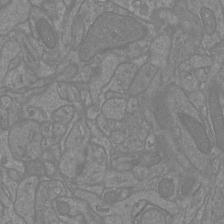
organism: Mouse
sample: Cortical neurons